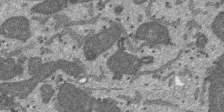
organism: Human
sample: Lung epithelial cells infected with SARS-CoV-2